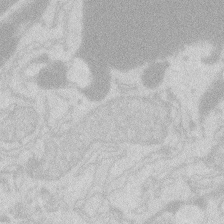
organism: Zebrafish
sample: Macrophage